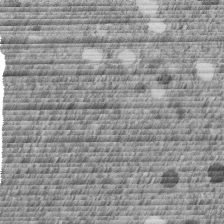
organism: C. elegans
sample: C. elegans embryo early stage